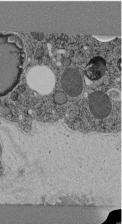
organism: C. elegans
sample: C. elegans pharynx